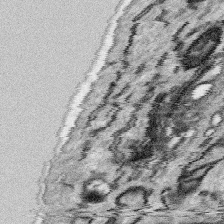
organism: Human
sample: HeLa cells